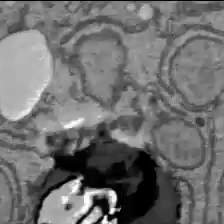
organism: C57BL Mouse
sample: Liver